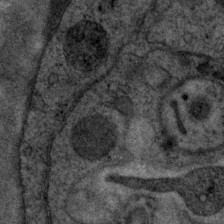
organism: P. pacificus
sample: Pharynx